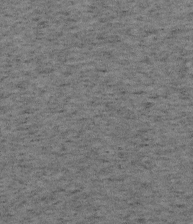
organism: Mouse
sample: OT-I killer T cells with ID8 ovarian cancer cells